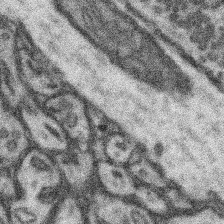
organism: Mouse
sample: Somatosensory cortex neuropil